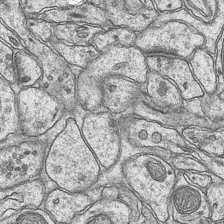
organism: Mouse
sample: CA1 Hippocampus